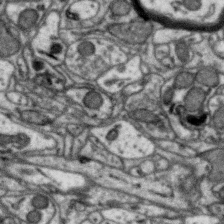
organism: Zebra finch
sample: Brain